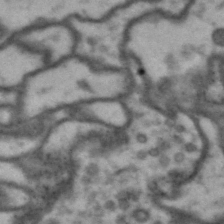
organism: Drosophila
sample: Brain